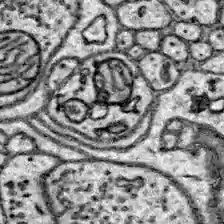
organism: Zebrafish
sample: Brain